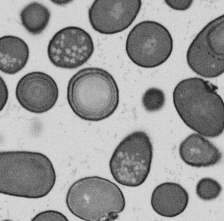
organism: B. subtilis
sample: Bacterial spore